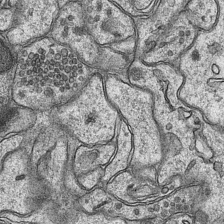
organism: Mouse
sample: CA1 Hippocampus